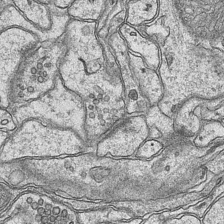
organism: Mouse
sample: CA1 Hippocampus